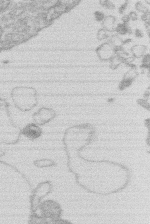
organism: Human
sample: Macrophage cells